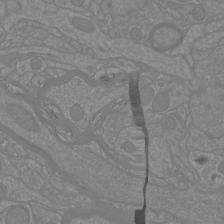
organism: Mouse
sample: Cortical neurons